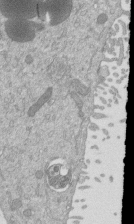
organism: Mouse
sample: ED-1 cell nuclei; centrioles